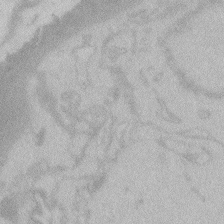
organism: Zebrafish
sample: Macrophage infected with Toxoplasma gondii